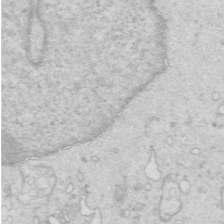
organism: Mouse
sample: Multiciliated cells